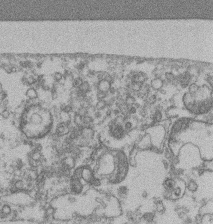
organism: Mouse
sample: T cell stromal cell synapse